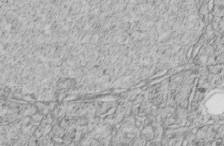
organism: C. elegans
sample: C. elegans embryo early stage